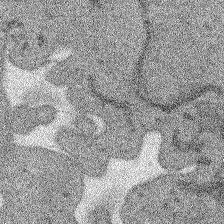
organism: Human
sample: HeLa cells